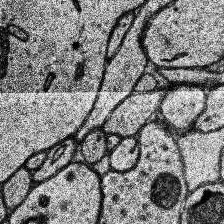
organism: Human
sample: Temporal Lobe